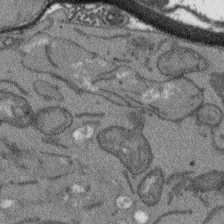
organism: Arabidopsis thaliana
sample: Root tip